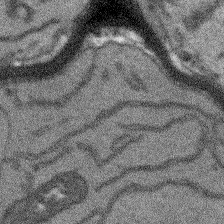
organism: Arabidopsis thaliana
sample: Root tip